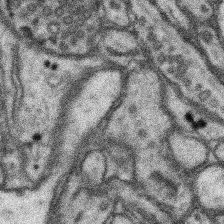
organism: Mouse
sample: Somatosensory cortex neuropil